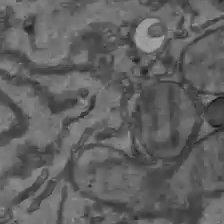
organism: C57BL Mouse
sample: Liver